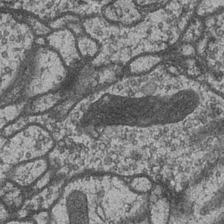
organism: Drosophila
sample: Optic medulla